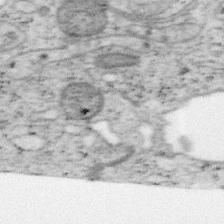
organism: Mouse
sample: OT-I killer T cells with ID8 ovarian cancer cells